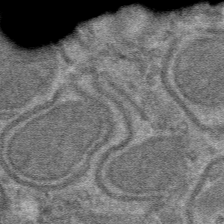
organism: Mouse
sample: Mouse hepatocytes